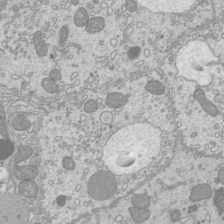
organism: Mouse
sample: Cilia; mouse epididymis